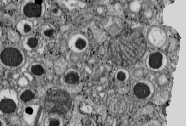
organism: C57BL Mouse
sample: Pancreatic islet